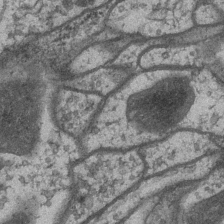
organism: Drosophila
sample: Optic medulla